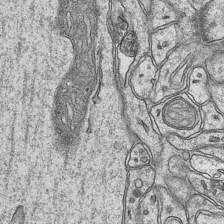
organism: Mouse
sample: CA1 Hippocampus